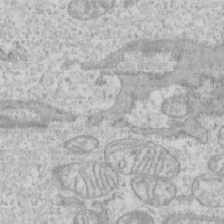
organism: Human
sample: CRL-1474